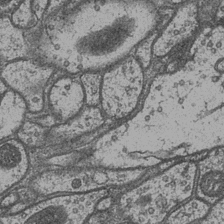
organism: Drosophila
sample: Optic medulla